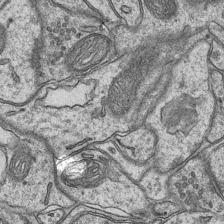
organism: Mouse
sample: CA1 Hippocampus